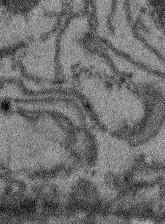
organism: Arabidopsis thaliana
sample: Root tip